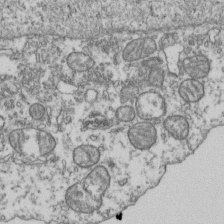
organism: Human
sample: Activated Jurkat CD4+ T cells